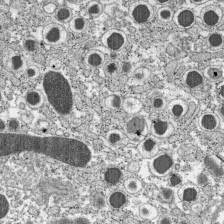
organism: C57BL Mouse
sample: Pancreatic islet